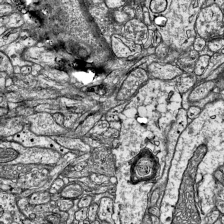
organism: Mouse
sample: Visual Cortex